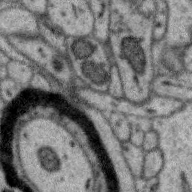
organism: Zebra finch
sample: Brain